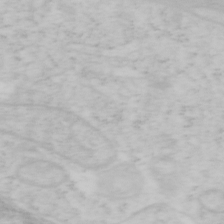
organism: Mouse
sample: OT-I killer T cells with ID8 ovarian cancer cells